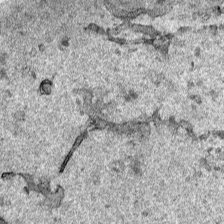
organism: Human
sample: Mitochondria in HCT116 cells